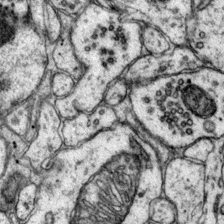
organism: Mouse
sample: Primary visual cortex